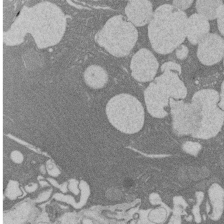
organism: Rat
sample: Salivary granule